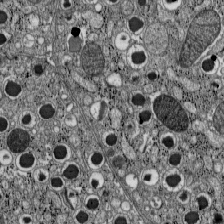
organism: C57BL Mouse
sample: Pancreatic islet